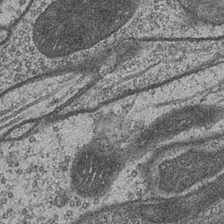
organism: Drosophila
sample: Optic medulla